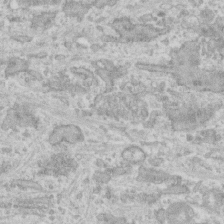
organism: Human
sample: CRL-1474